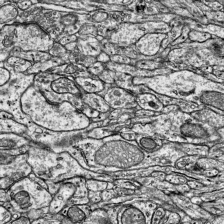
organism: Mouse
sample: Visual Cortex